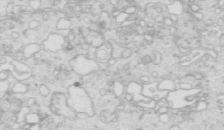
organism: Mouse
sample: Multiciliated cells